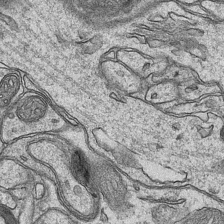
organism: Mouse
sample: CA1 Hippocampus